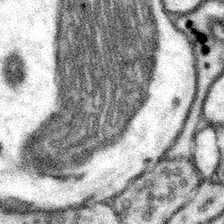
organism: Mouse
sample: Somatosensory cortex neuropil